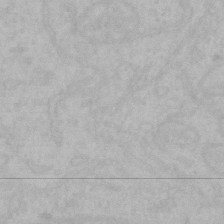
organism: Mouse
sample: Choroid plexus